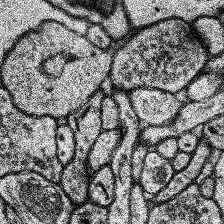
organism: Human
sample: Temporal Lobe